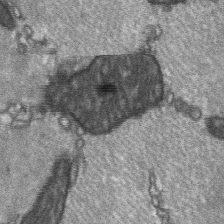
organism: C57BL Mouse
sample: Soleus